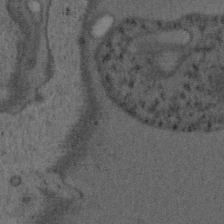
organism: Human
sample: HeLa cells